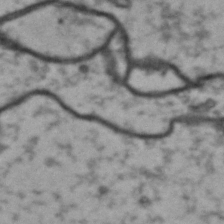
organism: Drosophila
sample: Brain